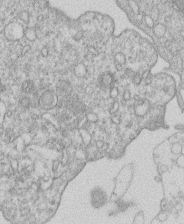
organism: Human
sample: Macrophage cells